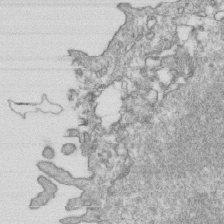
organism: Mouse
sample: Activated OT-1 CD8+ T cells